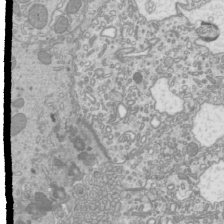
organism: Mouse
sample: Cilia; mouse epididymis